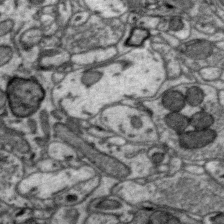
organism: Zebra finch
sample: Brain